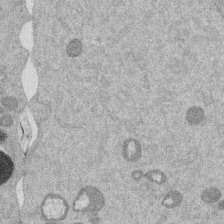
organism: Mouse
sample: Dividing mouse embryo 1 cell stage